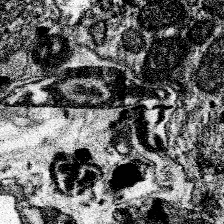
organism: Spongilla lacustris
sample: Neuroid cell